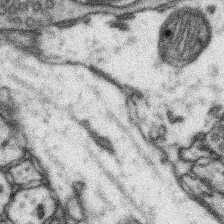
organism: Mouse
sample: Somatosensory cortex neuropil